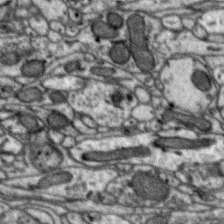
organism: Zebra finch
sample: Brain